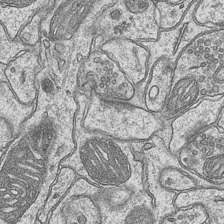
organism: Mouse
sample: CA1 Hippocampus